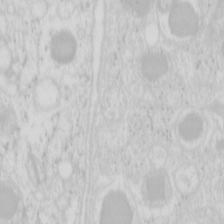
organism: Mouse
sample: Pancreas